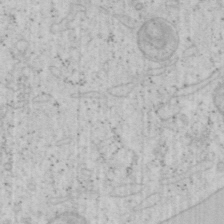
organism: Human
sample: HeLa cells